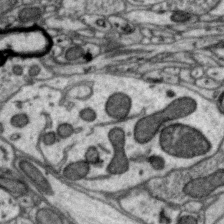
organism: Zebra finch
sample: Brain